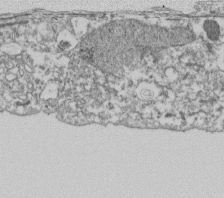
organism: Dictyostelium discoideum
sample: Dictyostelium multivesicular bodies